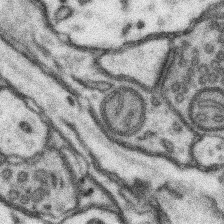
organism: Mouse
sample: Somatosensory cortex neuropil